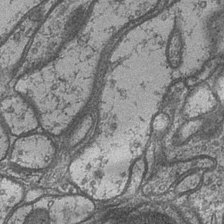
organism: Drosophila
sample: Optic medulla